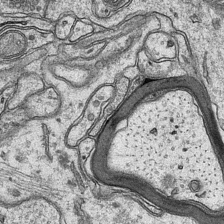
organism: Mouse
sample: CA1 Hippocampus